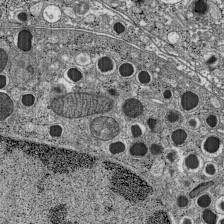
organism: C57BL Mouse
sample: Pancreatic islet